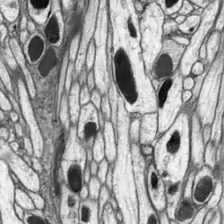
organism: Drosophila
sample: Optic lobe